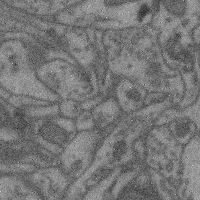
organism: Mouse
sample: Cerebral cortex